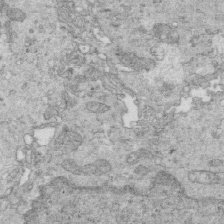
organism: Mouse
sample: Multiciliated cells